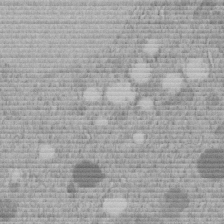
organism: C. elegans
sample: C. elegans embryo early stage